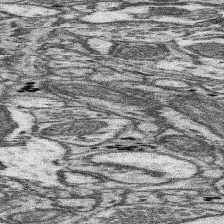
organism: Mouse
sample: Somatosensory cortex neuropil